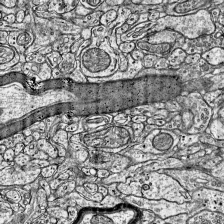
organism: Mouse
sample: Visual Cortex